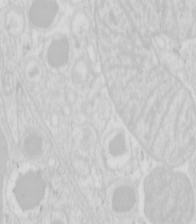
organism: Mouse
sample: Pancreas